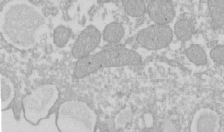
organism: Xenopus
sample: Cilia; centrioles in frog embryo cells